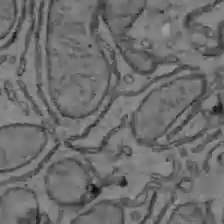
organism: C57BL Mouse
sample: Liver